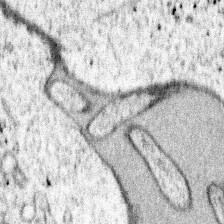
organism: Human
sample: HeLa cells